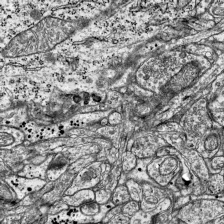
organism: Mouse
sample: Visual Cortex